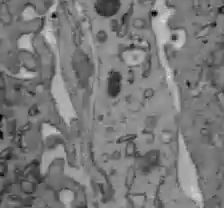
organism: C57BL Mouse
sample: Liver